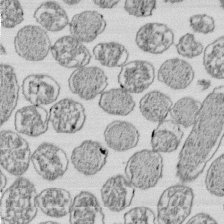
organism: E. coli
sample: Bacterial nucleoid